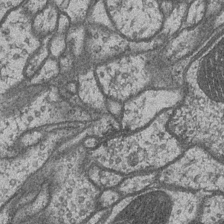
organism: Drosophila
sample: Optic medulla